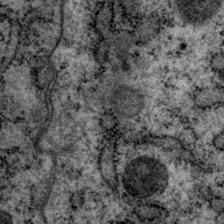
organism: P. pacificus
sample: Pharynx